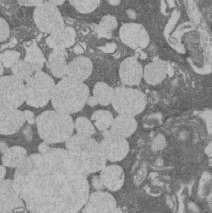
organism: Rat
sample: Salivary granule